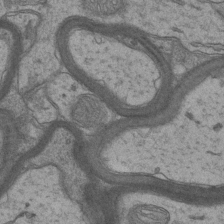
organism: Mouse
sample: CA1 Hippocampus